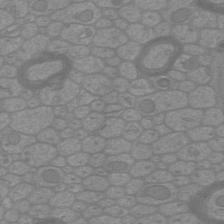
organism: Mouse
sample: Cortical neurons